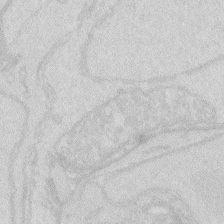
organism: Zebrafish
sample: Macrophage